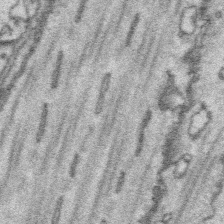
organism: Platynereis dumerilii